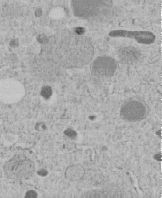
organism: C. elegans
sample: C. elegans embryo early stage